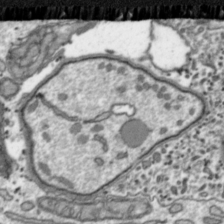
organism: Toxoplasma gondii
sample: Parasites in a vacuole inside a host cell